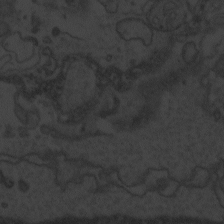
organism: Zebrafish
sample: Macrophage infected with Toxoplasma gondii